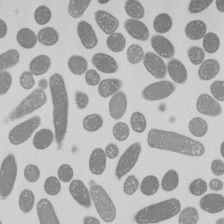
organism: E. coli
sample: Bacterial nucleoid